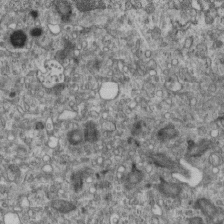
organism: Mouse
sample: Centriole in ependymal cells